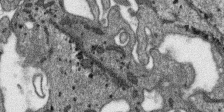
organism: Human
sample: Lung epithelial cells infected with SARS-CoV-2